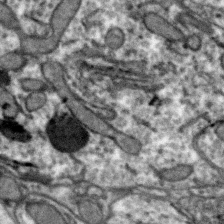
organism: Zebra finch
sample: Brain